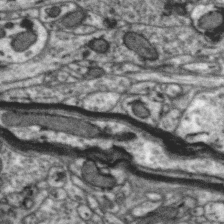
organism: Zebra finch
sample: Brain